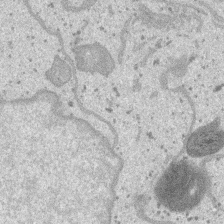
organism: Human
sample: Lung epithelial cells infected with SARS-CoV-2